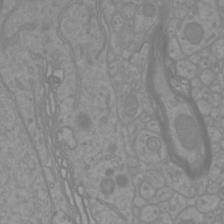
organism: Mouse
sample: Cortical neurons